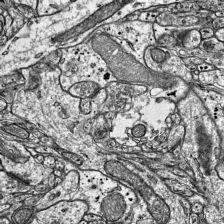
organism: Mouse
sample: Visual Cortex